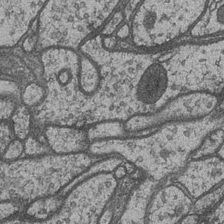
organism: Drosophila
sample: Optic medulla